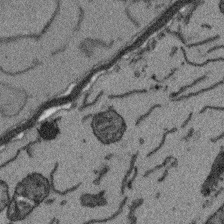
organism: Arabidopsis thaliana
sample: Root tip